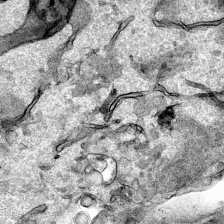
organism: Human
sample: Mitochondria in HCT116 cells